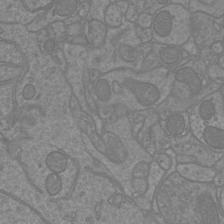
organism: Mouse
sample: Cortical neurons